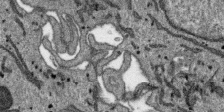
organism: Human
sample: Lung epithelial cells, uninfected (mock) control